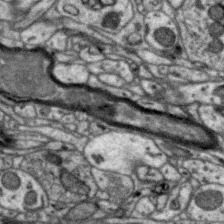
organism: Zebra finch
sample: Brain